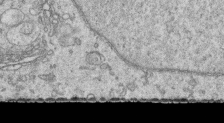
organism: Human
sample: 1205lu cells